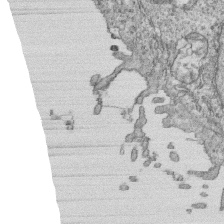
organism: Human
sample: HeLa cell HIV synapse